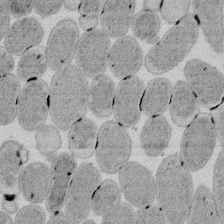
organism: E. coli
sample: Bacterial nucleoid